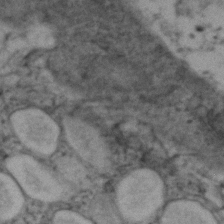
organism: Zebrafish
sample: Zebrafish embryo